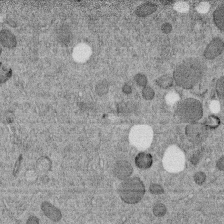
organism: C. elegans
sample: C. elegans embryo early stage